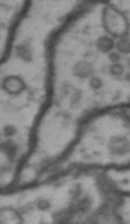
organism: Drosophila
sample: Brain